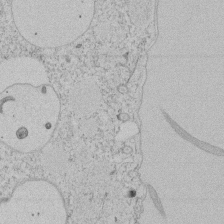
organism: Tetrahymena